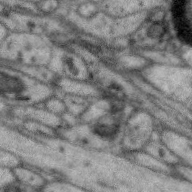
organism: Zebra finch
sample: Brain